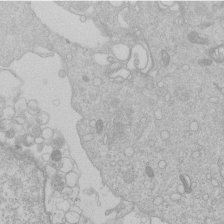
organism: Human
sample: Macrophage cells